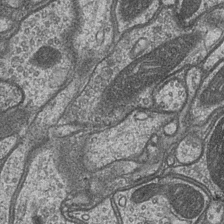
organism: Drosophila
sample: Optic medulla